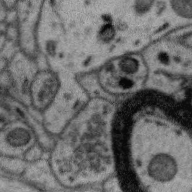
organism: Zebra finch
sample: Brain